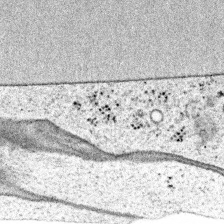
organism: Human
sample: HeLa cells